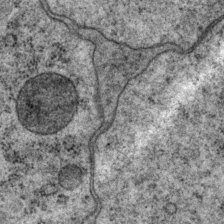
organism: P. pacificus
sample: Pharynx